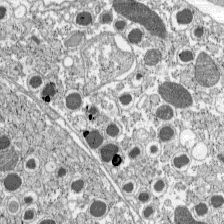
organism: C57BL Mouse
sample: Pancreatic islet